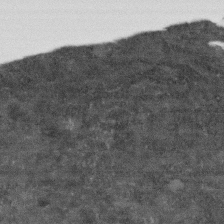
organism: Human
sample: Fibroblast cells